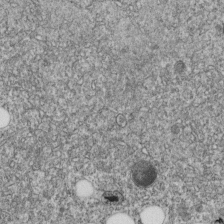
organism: C. elegans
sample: C. elegans embryo early stage